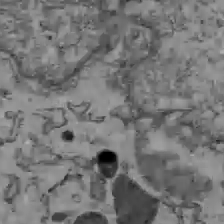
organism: C57BL Mouse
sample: Liver